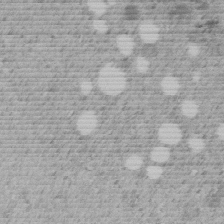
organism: C. elegans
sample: C. elegans embryo early stage